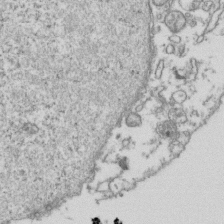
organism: Human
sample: Activated Jurkat CD4+ T cells